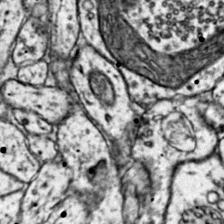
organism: Mouse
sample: Primary visual cortex